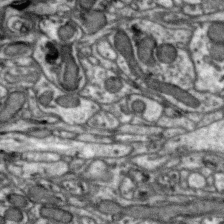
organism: Zebra finch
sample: Brain